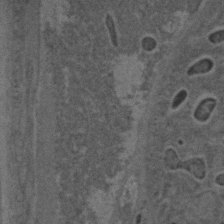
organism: C. elegans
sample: C. elegans embryo